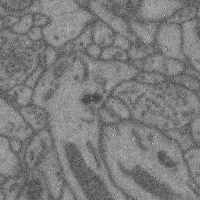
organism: Mouse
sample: Cerebral cortex